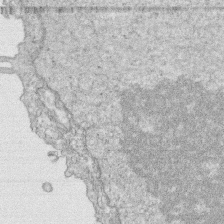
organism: Human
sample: HeLa cell HIV synapse